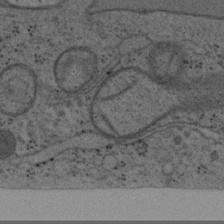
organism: Human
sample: HeLa cells